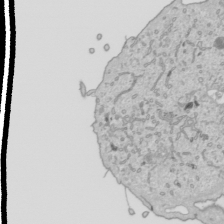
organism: Human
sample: Mitochondria in HCT116 cells